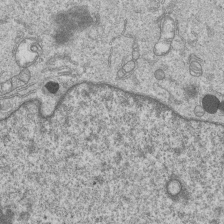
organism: Human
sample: MDA-MB-231 cells